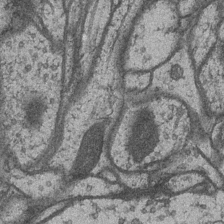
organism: Drosophila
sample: Optic medulla